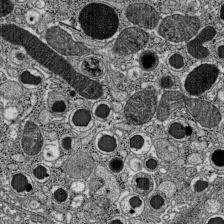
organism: C57BL Mouse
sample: Pancreatic islet